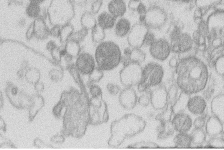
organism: Human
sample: Macrophage cells